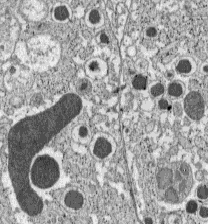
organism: C57BL Mouse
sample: Pancreatic islet